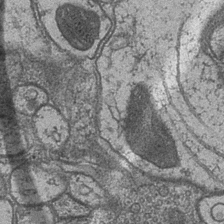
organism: Drosophila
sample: Optic medulla